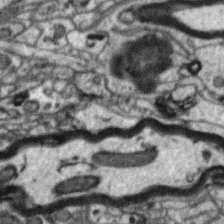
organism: Zebra finch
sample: Brain